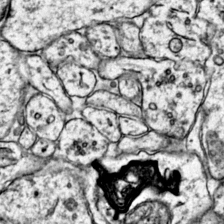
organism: Mouse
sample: Primary visual cortex